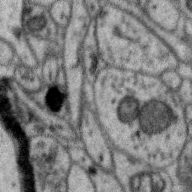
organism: Zebra finch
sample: Brain